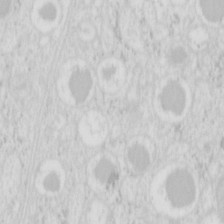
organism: Mouse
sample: Pancreas